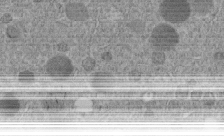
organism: C. elegans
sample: C. elegans embryo early stage